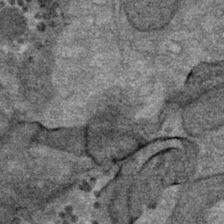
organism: Mouse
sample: Mouse Salivary gland